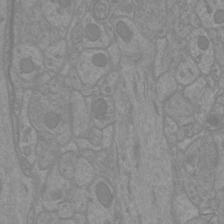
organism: Mouse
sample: Cortical neurons